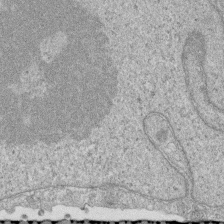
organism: Human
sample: HeLa cell HIV synapse